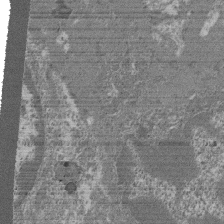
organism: Mouse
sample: Glomerulus